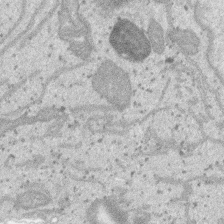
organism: Human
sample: Lung epithelial cells infected with SARS-CoV-2